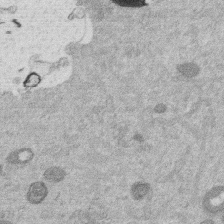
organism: Mouse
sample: Dividing mouse embryo 1 cell stage